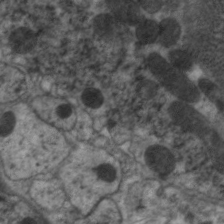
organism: C. elegans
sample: Pharynx